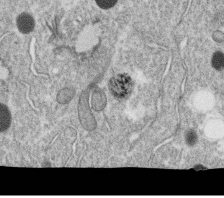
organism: C. elegans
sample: C. elegans oocyte; sperm cells